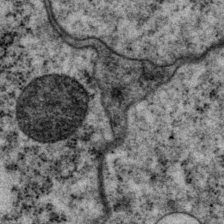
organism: P. pacificus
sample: Pharynx